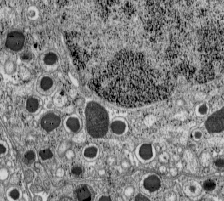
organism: C57BL Mouse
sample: Pancreatic islet